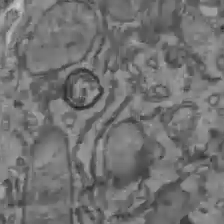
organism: C57BL Mouse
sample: Liver